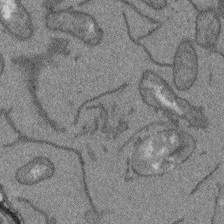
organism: Arabidopsis thaliana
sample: Root tip